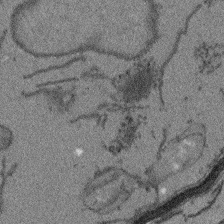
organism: Arabidopsis thaliana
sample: Root tip